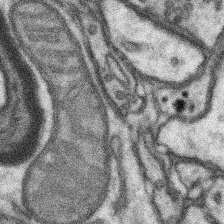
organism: Mouse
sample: Somatosensory cortex neuropil